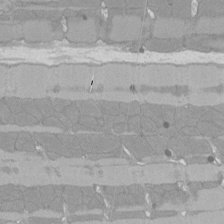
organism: Rat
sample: Left ventricle